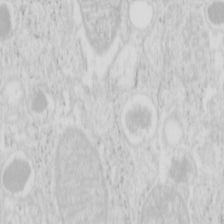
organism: Mouse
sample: Pancreas